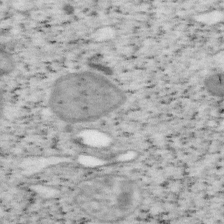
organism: Mouse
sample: OT-I killer T cells with ID8 ovarian cancer cells